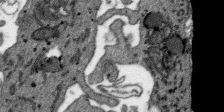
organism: Human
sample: Lung epithelial cells, uninfected (mock) control